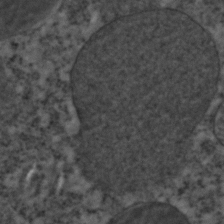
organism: C. elegans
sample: C. elegans embryo